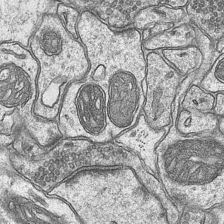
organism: Mouse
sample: CA1 Hippocampus